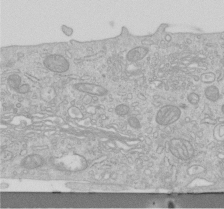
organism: Human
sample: Centriole in RPE cells